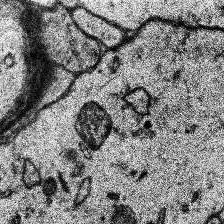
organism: Human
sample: Temporal Lobe